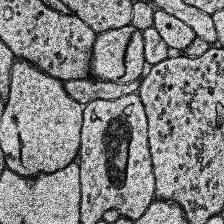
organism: Human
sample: Temporal Lobe